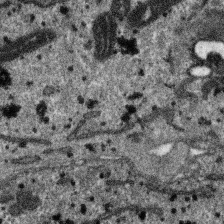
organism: Human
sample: Lung epithelial cells infected with SARS-CoV-2